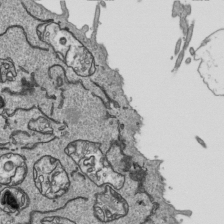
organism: Human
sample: Mitochondria in HCT116 cells